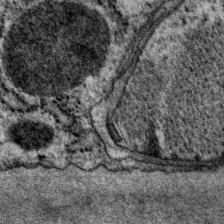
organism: P. pacificus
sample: Pharynx